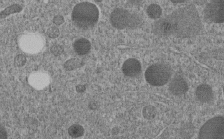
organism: C. elegans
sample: C. elegans embryo early stage